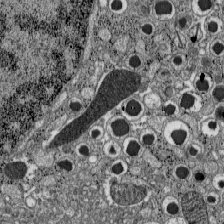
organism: C57BL Mouse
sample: Pancreatic islet